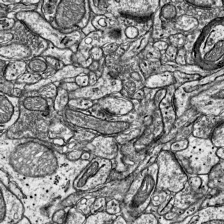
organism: Mouse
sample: Visual Cortex